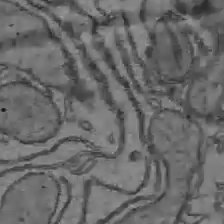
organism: C57BL Mouse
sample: Liver